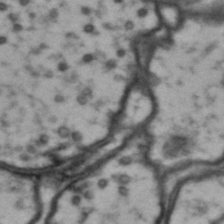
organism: Drosophila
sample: Brain